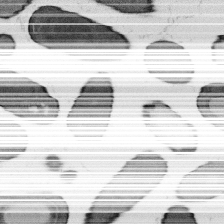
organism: B. subtilis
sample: Bacterial spore